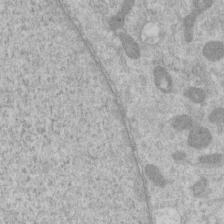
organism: Human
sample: Centriole in RPE cells